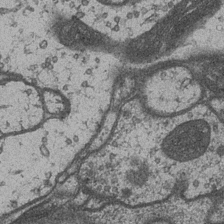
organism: Drosophila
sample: Optic medulla